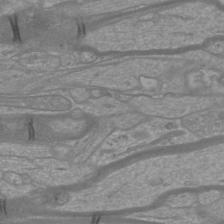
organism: Mouse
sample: Cortical neurons